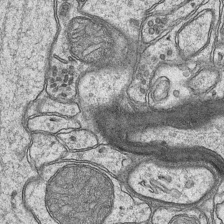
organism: Mouse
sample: CA1 Hippocampus